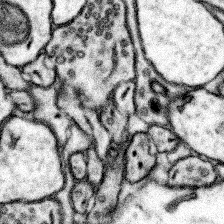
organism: Mouse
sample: Somatosensory cortex neuropil